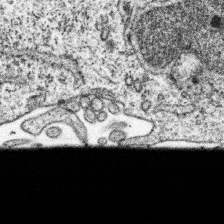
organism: Human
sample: HeLa cells